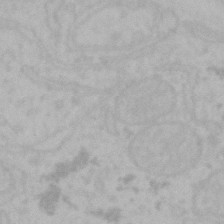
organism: Mouse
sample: Choroid plexus